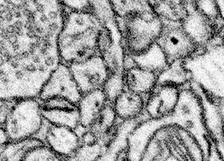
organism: Mouse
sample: Somatosensory cortex neuropil